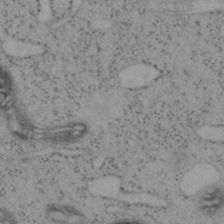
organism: Mouse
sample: OT-I killer T cells with ID8 ovarian cancer cells